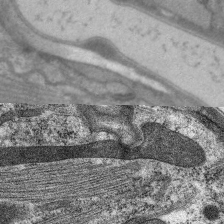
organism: C. elegans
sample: Pharynx